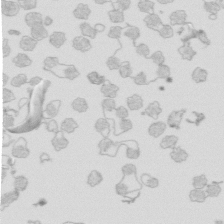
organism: Mouse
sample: Multiciliated cells